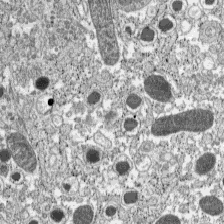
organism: C57BL Mouse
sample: Pancreatic islet